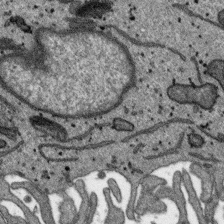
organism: Human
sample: Lung epithelial cells, uninfected (mock) control